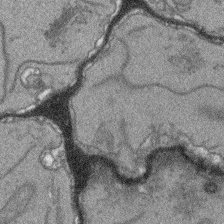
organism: Arabidopsis thaliana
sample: Root tip